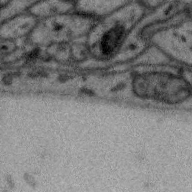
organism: Zebra finch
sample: Brain